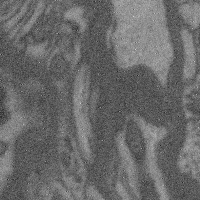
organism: Mouse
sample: Cerebral cortex